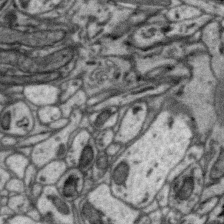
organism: Zebra finch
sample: Brain